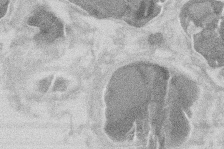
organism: Mouse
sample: T cell stromal cell synapse